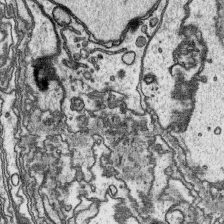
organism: Platynereis dumerilii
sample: Parapodia